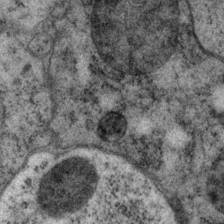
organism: P. pacificus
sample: Pharynx